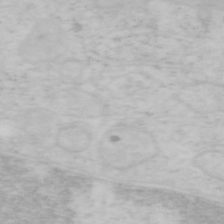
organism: Mouse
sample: OT-I killer T cells with ID8 ovarian cancer cells